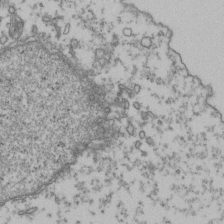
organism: Human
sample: Activated Jurkat CD4+ T cells